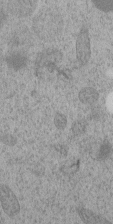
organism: C. elegans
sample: C. elegans embryo early stage